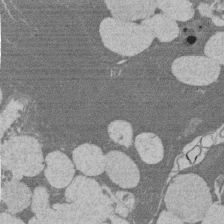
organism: Rat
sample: Salivary granule